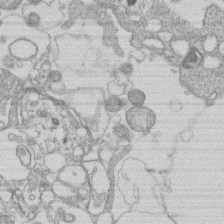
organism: Human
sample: Macrophage cells